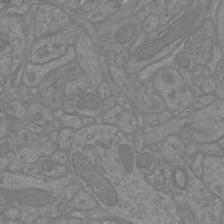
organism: Mouse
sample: Cortical neurons